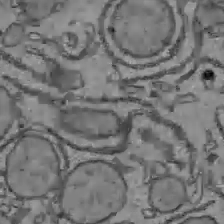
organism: C57BL Mouse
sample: Liver